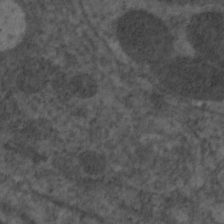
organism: C. elegans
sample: Pharynx